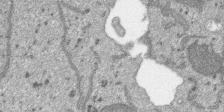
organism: Human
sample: Lung epithelial cells infected with SARS-CoV-2